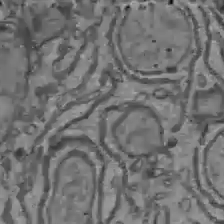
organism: C57BL Mouse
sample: Liver